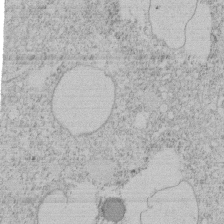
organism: Tetrahymena